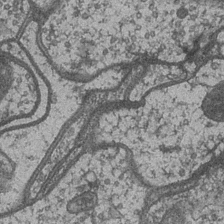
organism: Drosophila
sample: Optic medulla